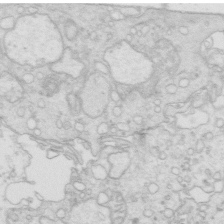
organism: Mouse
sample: Multiciliated cells